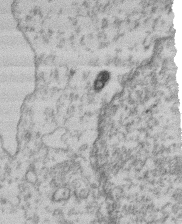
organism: Mouse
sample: T cell stromal cell synapse